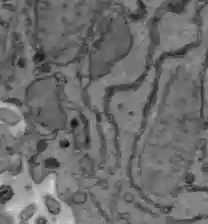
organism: C57BL Mouse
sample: Liver